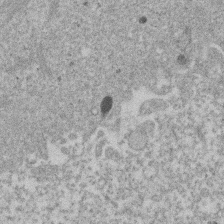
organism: Mouse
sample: Dividing mouse embryo 1 cell stage